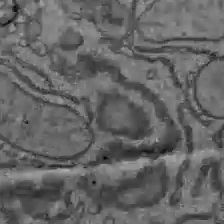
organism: C57BL Mouse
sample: Liver